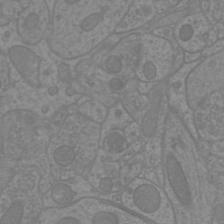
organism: Mouse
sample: Cortical neurons